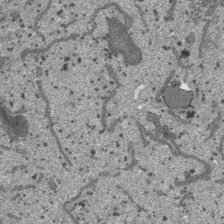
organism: Human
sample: Lung epithelial cells infected with SARS-CoV-2